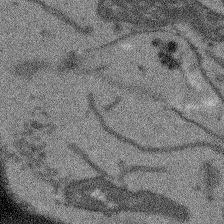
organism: Arabidopsis thaliana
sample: Root tip